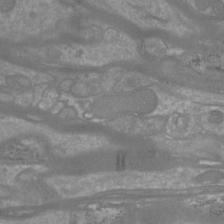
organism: Mouse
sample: Cortical neurons